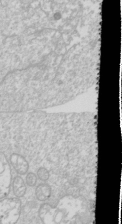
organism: Drosophila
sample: Cell division; meiosis; drosophila spermatocytes